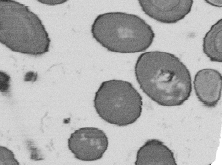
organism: B. subtilis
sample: Bacterial spore